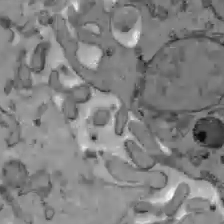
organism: C57BL Mouse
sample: Liver